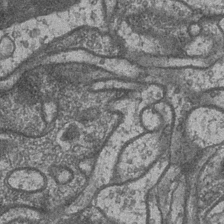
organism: Drosophila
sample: Optic medulla